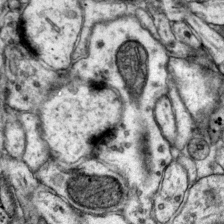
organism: Mouse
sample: Primary visual cortex